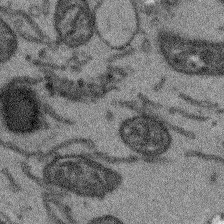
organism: Arabidopsis thaliana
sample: Root tip